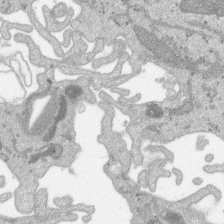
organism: Human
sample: Lung epithelial cells infected with SARS-CoV-2